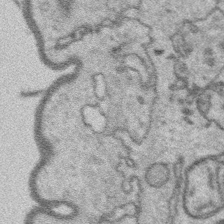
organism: Platynereis dumerilii